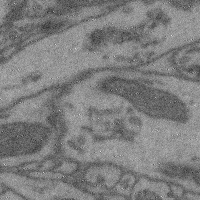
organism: Mouse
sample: Cerebral cortex